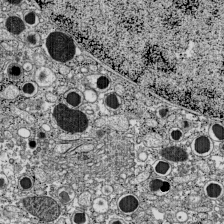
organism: C57BL Mouse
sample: Pancreatic islet